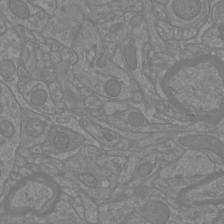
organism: Mouse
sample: Cortical neurons